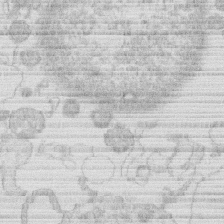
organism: Human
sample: Macrophage cells